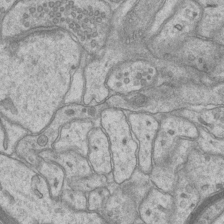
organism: Mouse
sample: CA1 Hippocampus